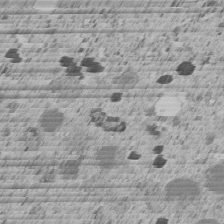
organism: C. elegans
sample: C. elegans embryo early stage